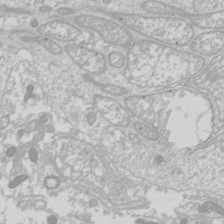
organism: Drosophila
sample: Cell division; meiosis; drosophila spermatocytes